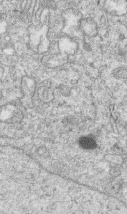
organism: Human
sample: HeLa cell HIV synapse